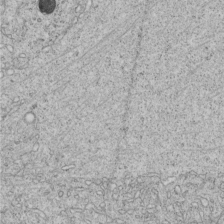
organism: C. elegans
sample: C. elegans embryo early stage